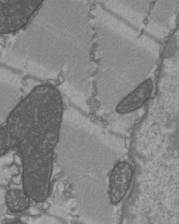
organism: C57BL Mouse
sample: Heart